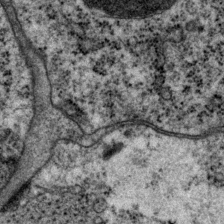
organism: P. pacificus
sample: Pharynx